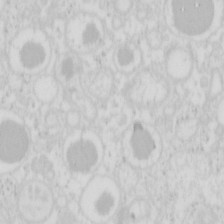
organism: Mouse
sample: Pancreas